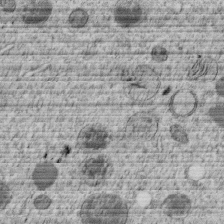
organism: C. elegans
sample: C. elegans embryo early stage